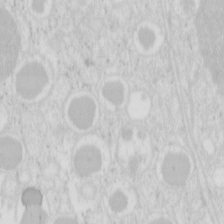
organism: Mouse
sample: Pancreas